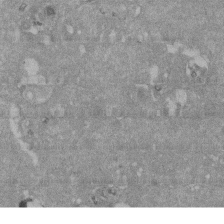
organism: Mouse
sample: ED-1 cell nuclei; centrioles